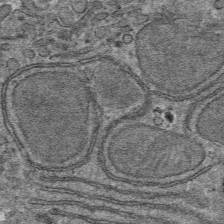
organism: Mouse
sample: Mouse hepatocytes